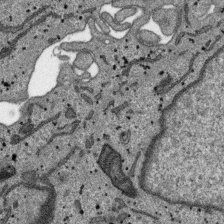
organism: Human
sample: Lung epithelial cells, uninfected (mock) control